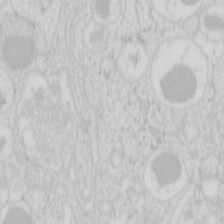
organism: Mouse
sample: Pancreas